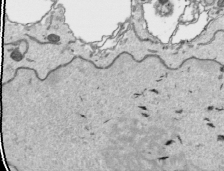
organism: Human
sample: Mitochondria in HCT116 cells